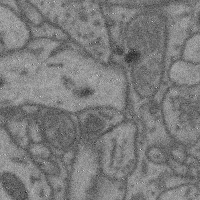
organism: Mouse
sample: Cerebral cortex